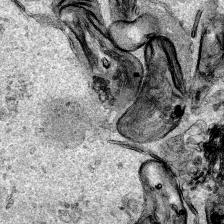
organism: Human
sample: Mitochondria in HCT116 cells